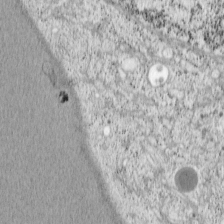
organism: African green monkey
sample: COS-7 cells